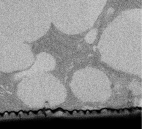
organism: Rat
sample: Salivary granule